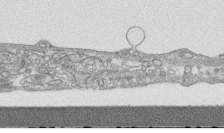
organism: Human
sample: CRL-1474